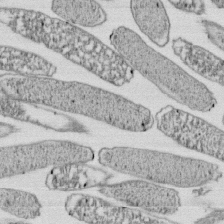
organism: E. coli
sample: Bacterial nucleoid